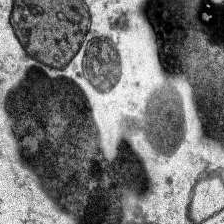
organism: Human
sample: Temporal Lobe